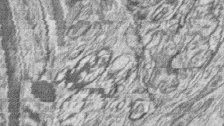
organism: Zebrafish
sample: synaptic ribbons in rod cells and cone cells